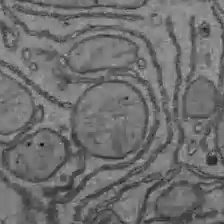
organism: C57BL Mouse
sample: Liver